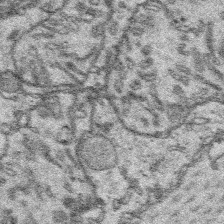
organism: Platynereis dumerilii